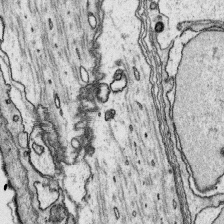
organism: Platynereis dumerilii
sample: Parapodia